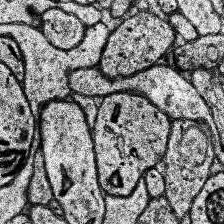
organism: Human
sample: Temporal Lobe